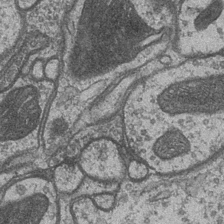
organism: Drosophila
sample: Optic medulla